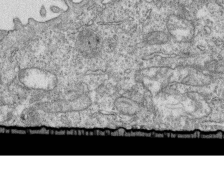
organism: Human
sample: HeLa cell HIV synapse